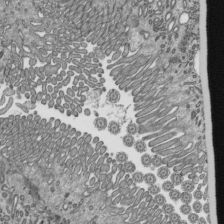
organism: Mouse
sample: Mouse epididymis efferent ductule cilia